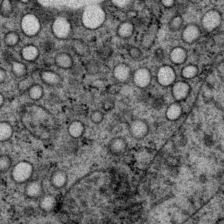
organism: P. pacificus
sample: Pharynx